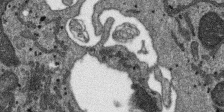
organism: Human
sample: Lung epithelial cells infected with SARS-CoV-2